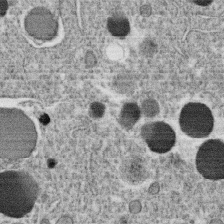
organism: C. elegans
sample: C. elegans oocyte; sperm cells